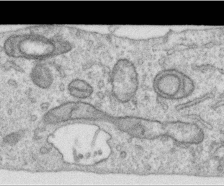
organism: Human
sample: Centriole in RPE cells